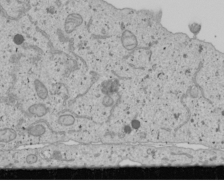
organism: Human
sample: Mitochondria in U2OS cells